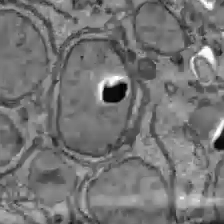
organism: C57BL Mouse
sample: Liver